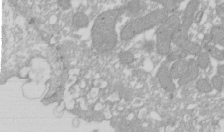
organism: Xenopus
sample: Cilia; centrioles in frog embryo cells